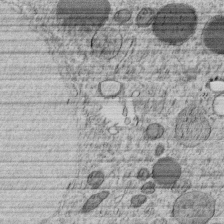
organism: C. elegans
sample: C. elegans embryo early stage